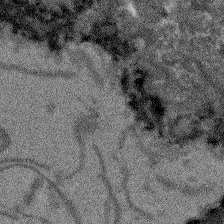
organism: Arabidopsis thaliana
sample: Root tip